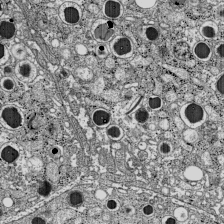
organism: C57BL Mouse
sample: Pancreatic islet